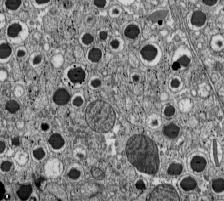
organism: C57BL Mouse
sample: Pancreatic islet